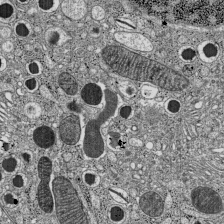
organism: C57BL Mouse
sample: Pancreatic islet